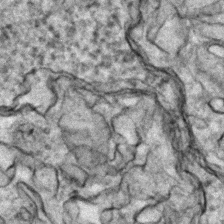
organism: Zebrafish